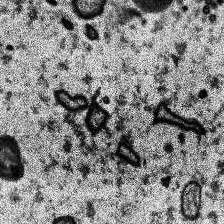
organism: Human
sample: Temporal Lobe